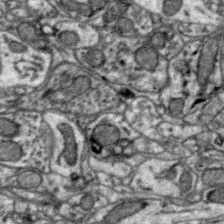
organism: Zebra finch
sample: Brain